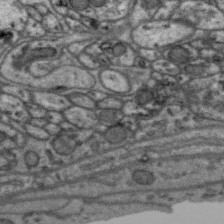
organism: Zebra finch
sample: Brain